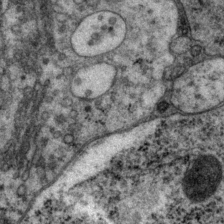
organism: P. pacificus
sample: Pharynx